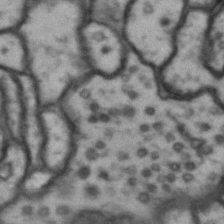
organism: Drosophila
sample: Brain